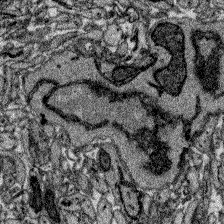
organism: Zebrafish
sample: Larval olfactory bulb